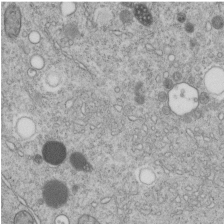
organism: C. elegans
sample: C. elegans embryo early stage